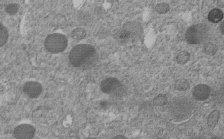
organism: C. elegans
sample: C. elegans embryo early stage